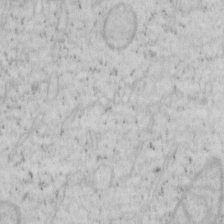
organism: Human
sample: HeLa cells